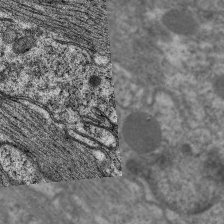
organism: C. elegans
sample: Pharynx